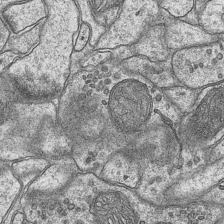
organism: Mouse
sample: CA1 Hippocampus